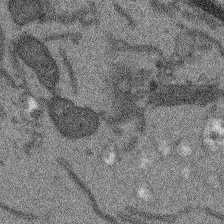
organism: Arabidopsis thaliana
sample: Root tip